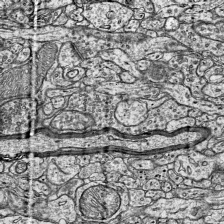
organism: Mouse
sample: Visual Cortex